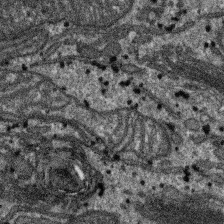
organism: Human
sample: Lung epithelial cells infected with SARS-CoV-2